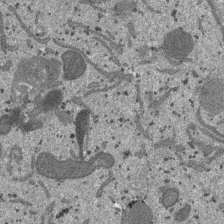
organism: Human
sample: Lung epithelial cells infected with SARS-CoV-2